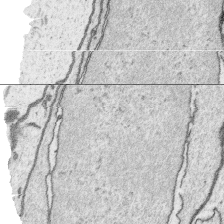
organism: Platynereis dumerilii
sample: Parapodia